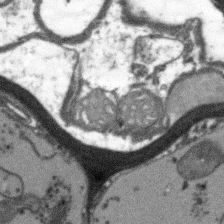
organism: Arabidopsis thaliana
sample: Root tip